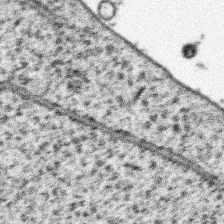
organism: Human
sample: HeLa cells